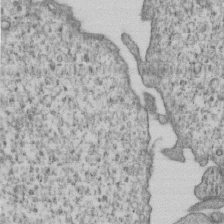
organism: Human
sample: MDA-MB-231 cells